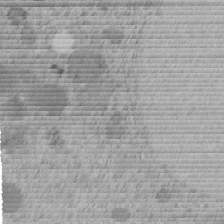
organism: C. elegans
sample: C. elegans embryo early stage